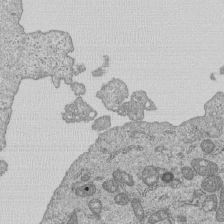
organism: Human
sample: MDA-MB-231 cells